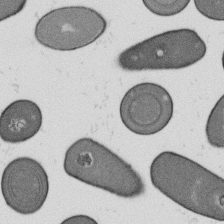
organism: B. subtilis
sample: Bacterial spore